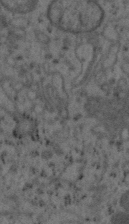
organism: Human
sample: HeLa cells